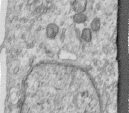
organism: Human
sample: Centriole in RPE cells